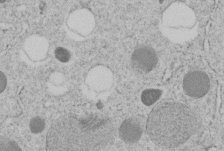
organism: C. elegans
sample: C. elegans embryo early stage